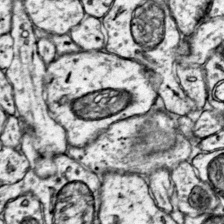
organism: Mouse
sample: Primary visual cortex